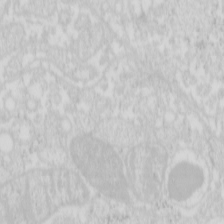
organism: Mouse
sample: Pancreas